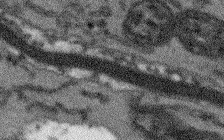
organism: Arabidopsis thaliana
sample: Root tip